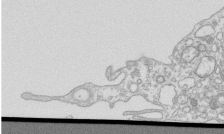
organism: Mouse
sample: Macrophages